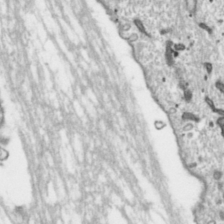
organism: Toxoplasma gondii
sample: Parasites in a vacuole inside a host cell